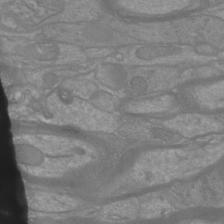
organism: Mouse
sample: Cortical neurons